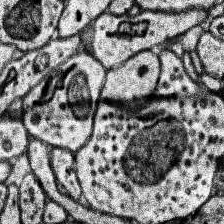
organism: Human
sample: Temporal Lobe